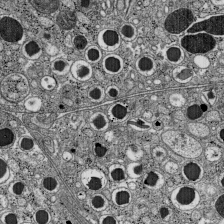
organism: C57BL Mouse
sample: Pancreatic islet